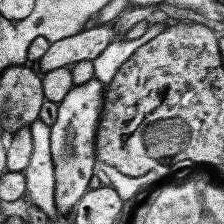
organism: Human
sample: Temporal Lobe